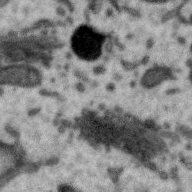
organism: Zebra finch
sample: Brain